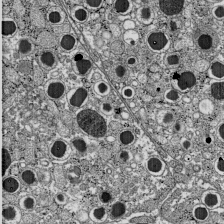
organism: C57BL Mouse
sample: Pancreatic islet